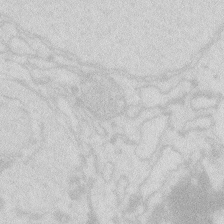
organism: Zebrafish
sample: Macrophage